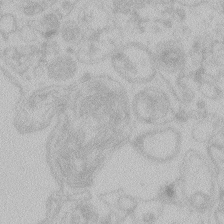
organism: Zebrafish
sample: Macrophage infected with Toxoplasma gondii